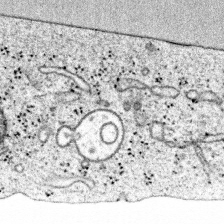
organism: Human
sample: HeLa cells